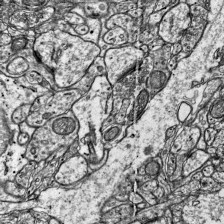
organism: Mouse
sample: Visual Cortex